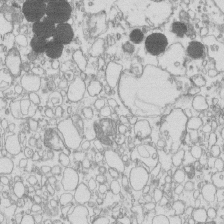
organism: Mouse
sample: Macrophages